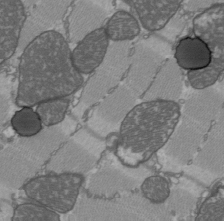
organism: C57BL Mouse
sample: Heart